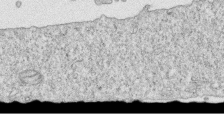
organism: Human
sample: HeLa cell HIV synapse